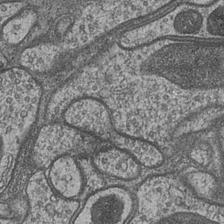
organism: Drosophila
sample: Optic medulla